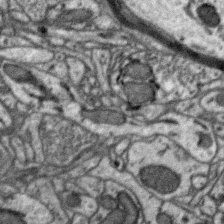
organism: Zebra finch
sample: Brain